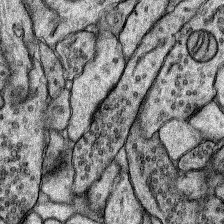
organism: Rat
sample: Hippocampus